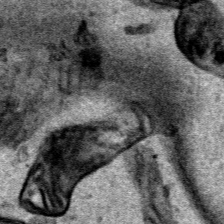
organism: Human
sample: Mitochondria in HCT116 cells